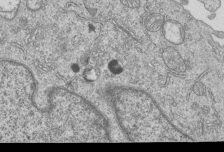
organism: Human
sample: MDA-MB-231 cells